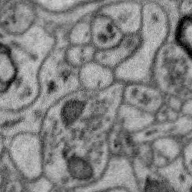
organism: Zebra finch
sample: Brain